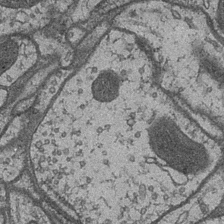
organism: Drosophila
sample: Optic medulla